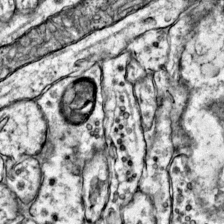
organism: Mouse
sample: Primary visual cortex